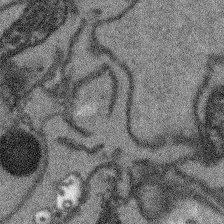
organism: Arabidopsis thaliana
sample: Root tip